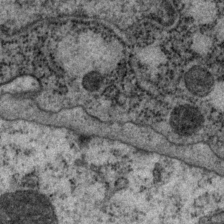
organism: P. pacificus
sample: Pharynx